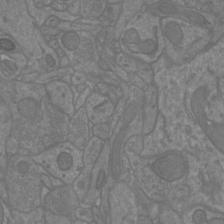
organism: Mouse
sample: Cortical neurons